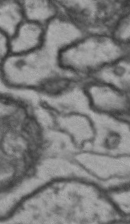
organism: Drosophila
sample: Brain